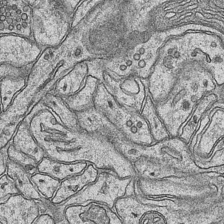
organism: Mouse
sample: CA1 Hippocampus